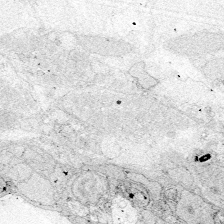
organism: Zebrafish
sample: Whole-Brain